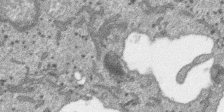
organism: Human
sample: Lung epithelial cells infected with SARS-CoV-2